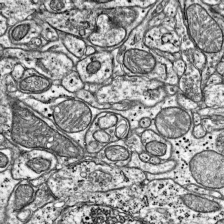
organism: Mouse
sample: Visual Cortex